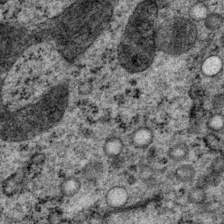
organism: P. pacificus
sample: Pharynx